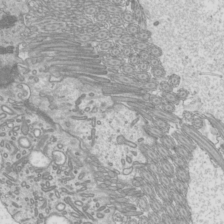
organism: Mouse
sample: Cilia; mouse epididymis